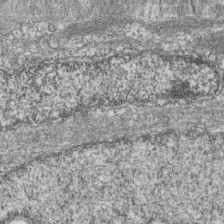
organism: Zebrafish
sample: Cilia; retinal pigment epithelium